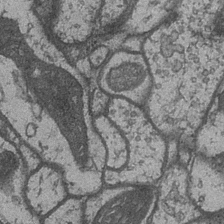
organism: Drosophila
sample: Optic medulla